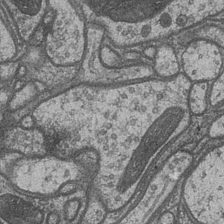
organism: Drosophila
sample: Optic medulla